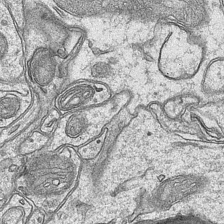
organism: Mouse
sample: CA1 Hippocampus